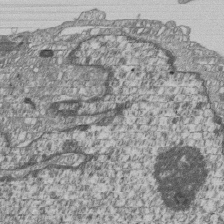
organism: Human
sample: MDA-MB-231 cells